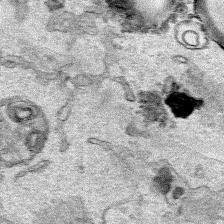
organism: Human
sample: Mitochondria in HCT116 cells